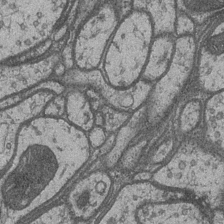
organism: Drosophila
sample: Optic medulla